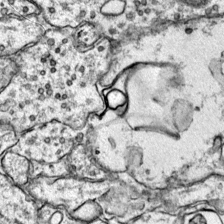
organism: Mouse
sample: Primary visual cortex